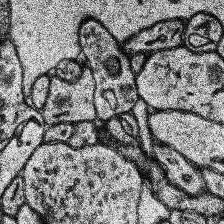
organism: Human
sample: Temporal Lobe